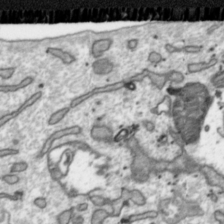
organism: Toxoplasma gondii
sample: Parasites in a vacuole inside a host cell